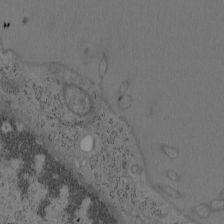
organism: Mouse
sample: OT-I killer T cells with ID8 ovarian cancer cells